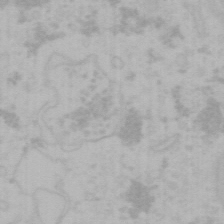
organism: Mouse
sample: Choroid plexus